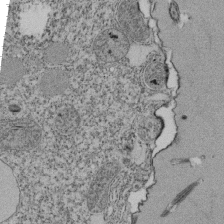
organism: Tetrahymena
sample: Cilia in tetrahymena